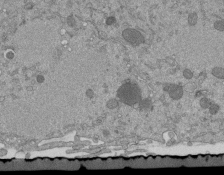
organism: Mouse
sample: ED-1 cell nuclei; centrioles